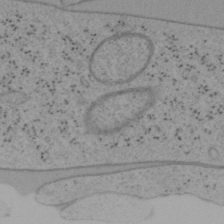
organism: Human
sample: HeLa cells